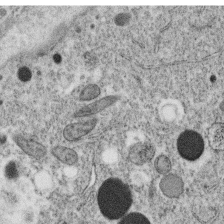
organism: C. elegans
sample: C. elegans oocyte; sperm cells